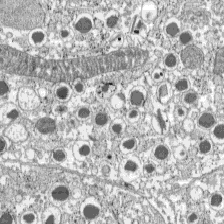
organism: C57BL Mouse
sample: Pancreatic islet